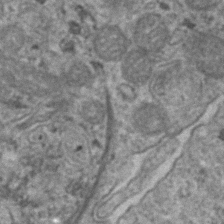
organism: Human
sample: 1205lu cells